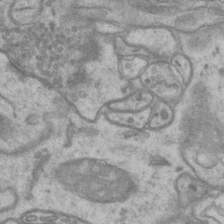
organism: Mouse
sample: CA1 Hippocampus